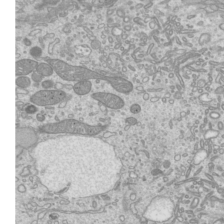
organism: Mouse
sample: Cilia; mouse epididymis